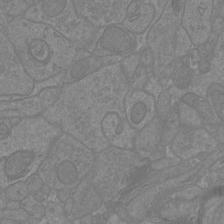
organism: Mouse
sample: Cortical neurons